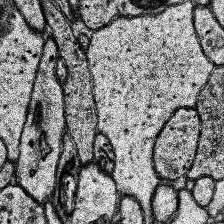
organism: Human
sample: Temporal Lobe